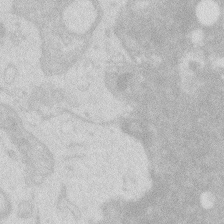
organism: Zebrafish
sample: Macrophage